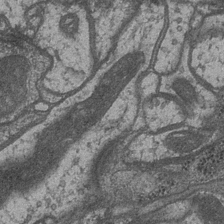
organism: Drosophila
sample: Optic medulla